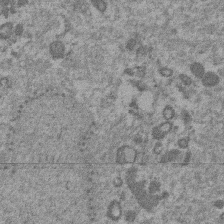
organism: Mouse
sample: Dividing mouse embryo 1 cell stage